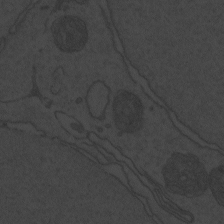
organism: Zebrafish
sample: Macrophage infected with Toxoplasma gondii